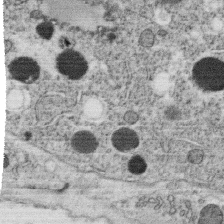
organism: C. elegans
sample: C. elegans oocyte; sperm cells